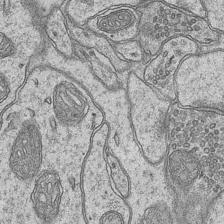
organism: Mouse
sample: CA1 Hippocampus